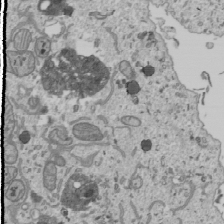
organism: Human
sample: Mitochondria in U2OS cells